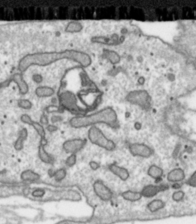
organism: Toxoplasma gondii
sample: Parasites in a vacuole inside a host cell